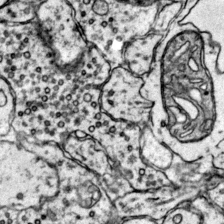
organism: Mouse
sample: Primary visual cortex